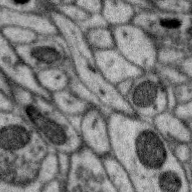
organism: Zebra finch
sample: Brain